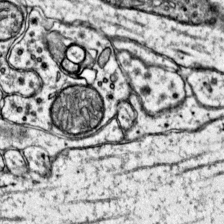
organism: Mouse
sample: Primary visual cortex